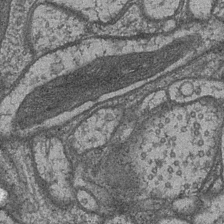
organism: Drosophila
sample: Optic medulla